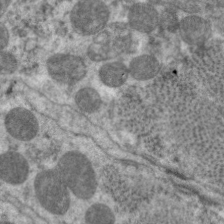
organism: C. elegans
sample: Pharynx